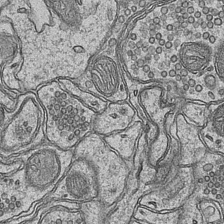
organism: Mouse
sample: CA1 Hippocampus